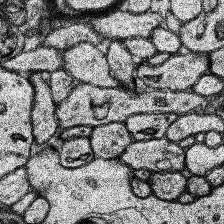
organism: Human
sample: Temporal Lobe